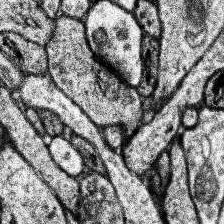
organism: Human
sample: Temporal Lobe